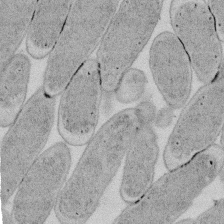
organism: E. coli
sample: Bacterial nucleoid